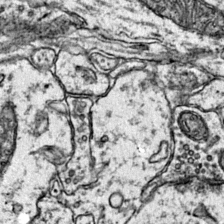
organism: Mouse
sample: Primary visual cortex